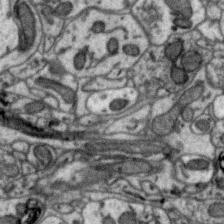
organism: Zebra finch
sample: Brain